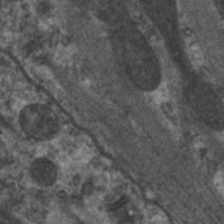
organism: C. elegans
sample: Pharynx